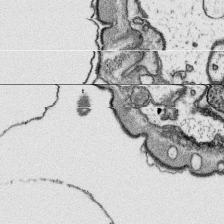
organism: Platynereis dumerilii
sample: Parapodia